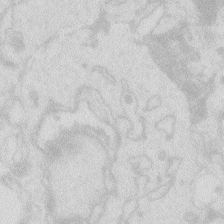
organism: Zebrafish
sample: Macrophage